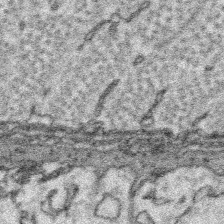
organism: Platynereis dumerilii